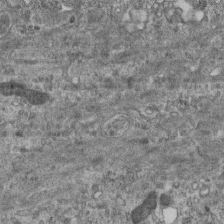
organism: Mouse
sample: Centriole in ependymal cells